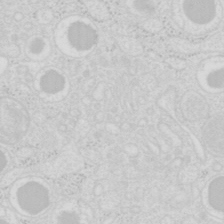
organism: Mouse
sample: Pancreas